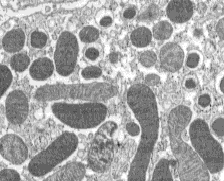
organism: C57BL Mouse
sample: Pancreatic islet